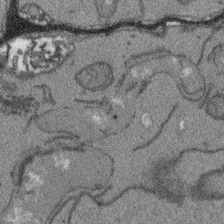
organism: Arabidopsis thaliana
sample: Root tip